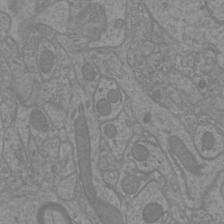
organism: Mouse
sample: Cortical neurons